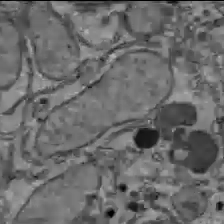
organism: C57BL Mouse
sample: Liver